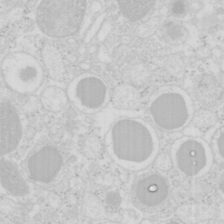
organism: Mouse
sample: Pancreas